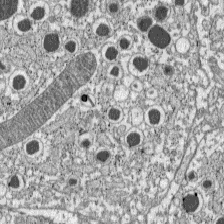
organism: C57BL Mouse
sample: Pancreatic islet